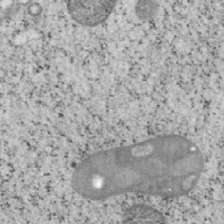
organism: Mouse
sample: OT-I killer T cells with ID8 ovarian cancer cells